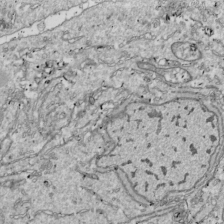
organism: Drosophila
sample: Cell division; meiosis; drosophila spermatocytes